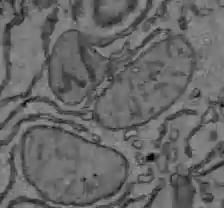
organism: C57BL Mouse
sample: Liver